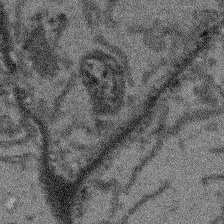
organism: Arabidopsis thaliana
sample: Root tip